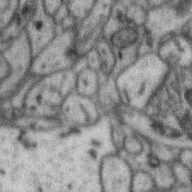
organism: Zebra finch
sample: Brain